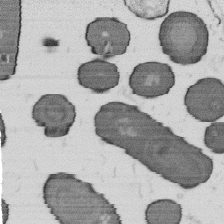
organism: B. subtilis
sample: Bacterial spore